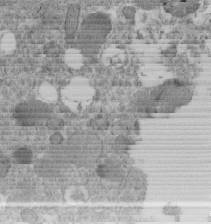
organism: C. elegans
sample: C. elegans embryo early stage